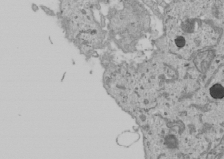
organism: Human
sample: Mitochondria in U2OS cells